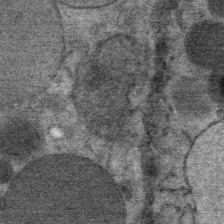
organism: Mouse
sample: Mouse Salivary gland